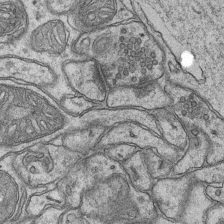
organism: Mouse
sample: CA1 Hippocampus